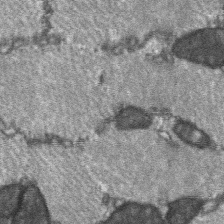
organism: C57BL Mouse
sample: Soleus